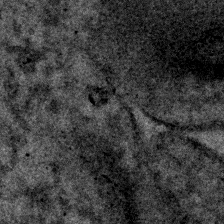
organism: Human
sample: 1205lu cells